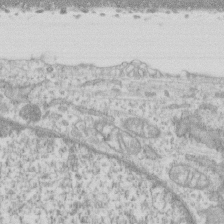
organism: Human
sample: CRL-1474